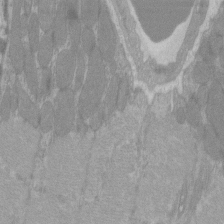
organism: C57BL Mouse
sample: Tibialis anterior muscle cell